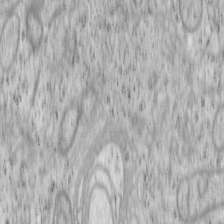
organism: Human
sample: HeLa cells